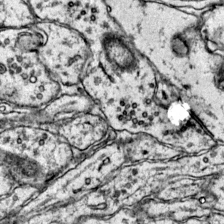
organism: Mouse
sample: Primary visual cortex